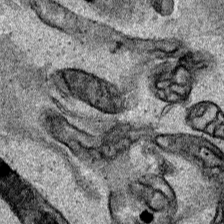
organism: Human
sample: Mitochondria in HCT116 cells